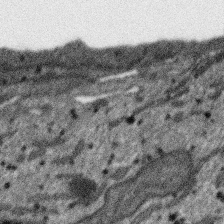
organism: Human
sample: Lung epithelial cells infected with SARS-CoV-2